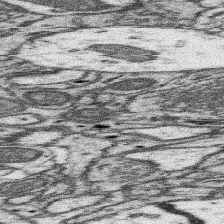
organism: Mouse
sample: Somatosensory cortex neuropil